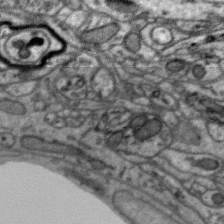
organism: Zebra finch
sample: Brain